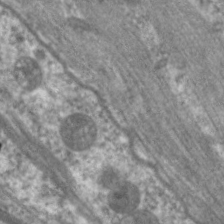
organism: C. elegans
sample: Pharynx